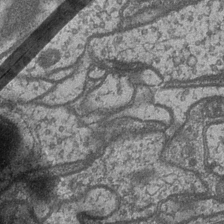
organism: Drosophila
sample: Optic medulla